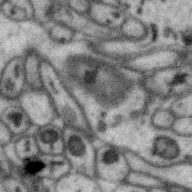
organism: Zebra finch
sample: Brain